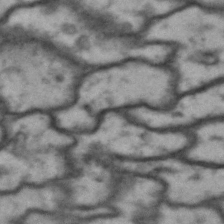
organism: Drosophila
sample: Brain